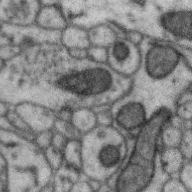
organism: Zebra finch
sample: Brain